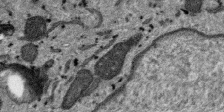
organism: Human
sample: Lung epithelial cells, uninfected (mock) control